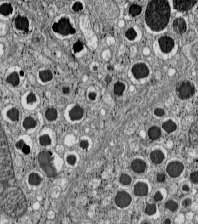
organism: C57BL Mouse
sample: Pancreatic islet